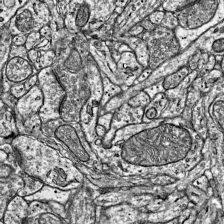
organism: Mouse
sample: Visual Cortex